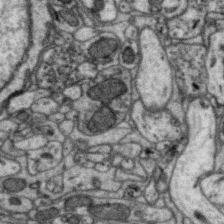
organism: Zebra finch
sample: Brain